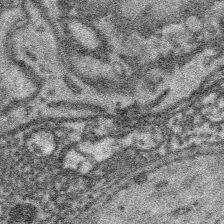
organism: Platynereis dumerilii